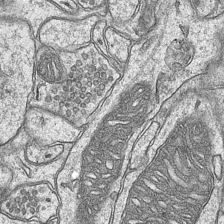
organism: Mouse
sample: CA1 Hippocampus